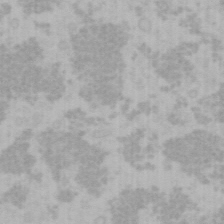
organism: Mouse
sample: Choroid plexus